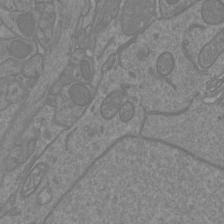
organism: Mouse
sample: Cortical neurons